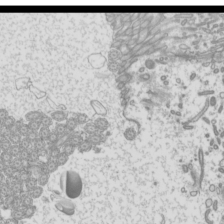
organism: Mouse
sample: Cilia; mouse epididymis